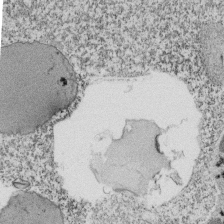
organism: Tetrahymena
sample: Cilia in tetrahymena